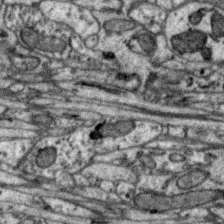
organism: Zebra finch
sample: Brain